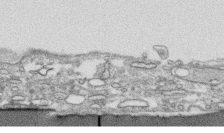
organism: Human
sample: CRL-1474